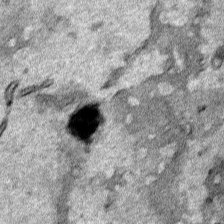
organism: Human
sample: Mitochondria in HCT116 cells